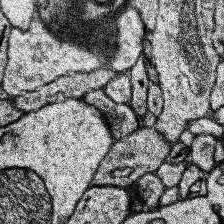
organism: Human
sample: Temporal Lobe